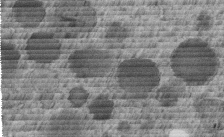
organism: C. elegans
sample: C. elegans embryo early stage